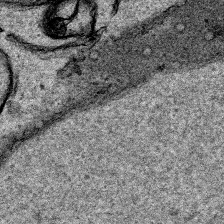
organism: Human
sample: Mitochondria in HCT116 cells